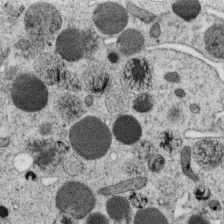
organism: C. elegans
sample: C. elegans oocyte; sperm cells